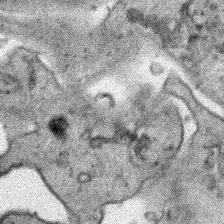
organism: Human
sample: Mitochondria in HCT116 cells